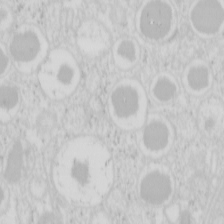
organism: Mouse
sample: Pancreas